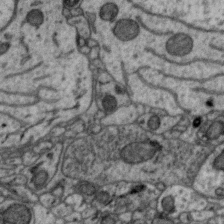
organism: Zebra finch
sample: Brain